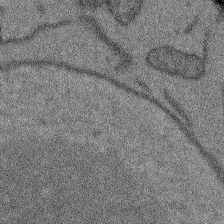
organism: Arabidopsis thaliana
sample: Root tip